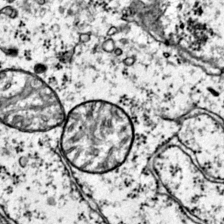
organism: Mouse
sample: Primary visual cortex